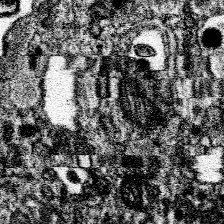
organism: Spongilla lacustris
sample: Neuroid cell